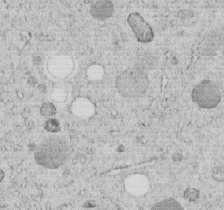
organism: C. elegans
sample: C. elegans embryo early stage